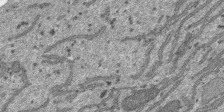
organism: Human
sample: Lung epithelial cells infected with SARS-CoV-2